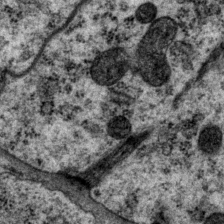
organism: P. pacificus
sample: Pharynx